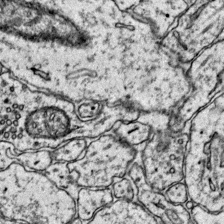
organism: Mouse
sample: Primary visual cortex